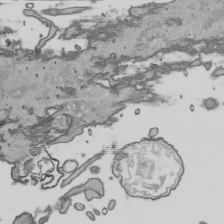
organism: Human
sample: Mitochondria in HCT116 cells